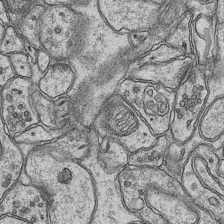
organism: Mouse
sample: CA1 Hippocampus